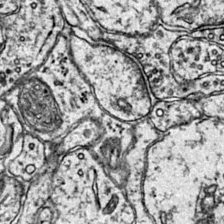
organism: Mouse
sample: Primary visual cortex